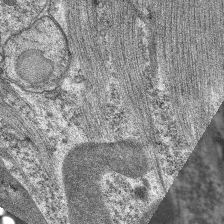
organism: C. elegans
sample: Pharynx